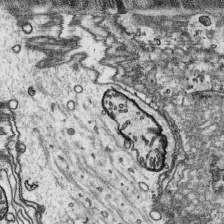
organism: Platynereis dumerilii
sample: Parapodia